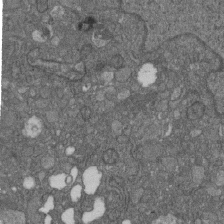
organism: Drosophila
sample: Nephrocyte